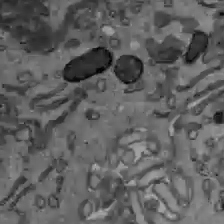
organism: C57BL Mouse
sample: Liver